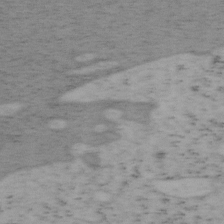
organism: Mouse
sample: OT-I killer T cells with ID8 ovarian cancer cells